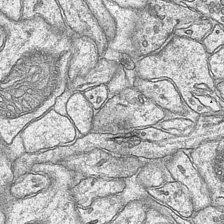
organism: Mouse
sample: CA1 Hippocampus